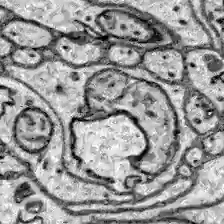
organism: Zebrafish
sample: Brain